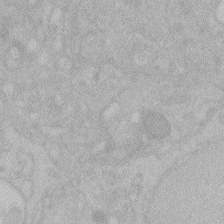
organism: Zebrafish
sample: Macrophage infected with Toxoplasma gondii